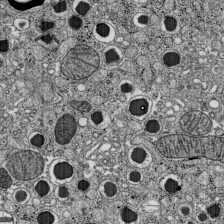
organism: C57BL Mouse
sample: Pancreatic islet